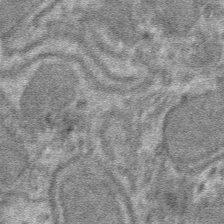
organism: Mouse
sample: Mouse hepatocytes